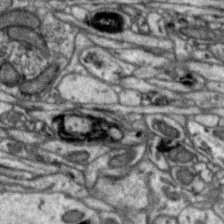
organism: Zebra finch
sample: Brain